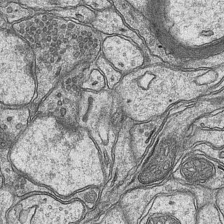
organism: Mouse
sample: CA1 Hippocampus